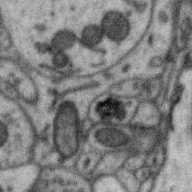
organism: Zebra finch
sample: Brain